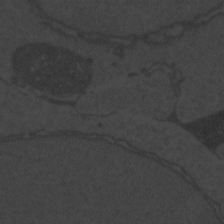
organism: Zebrafish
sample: Macrophage infected with Toxoplasma gondii